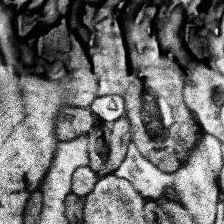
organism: Human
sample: Temporal Lobe